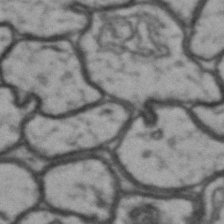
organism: Drosophila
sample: Brain